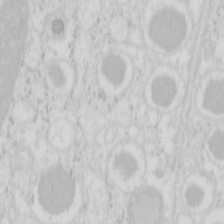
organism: Mouse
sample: Pancreas